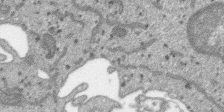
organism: Human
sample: Lung epithelial cells infected with SARS-CoV-2